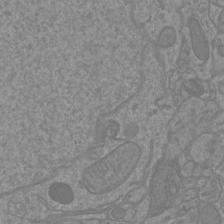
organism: Mouse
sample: Cortical neurons